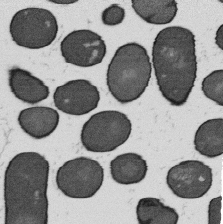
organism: B. subtilis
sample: Bacterial spore